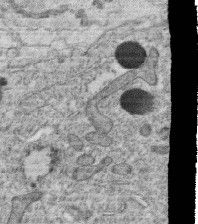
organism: C. elegans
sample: C. elegans oocyte; sperm cells